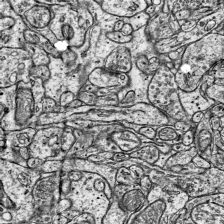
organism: Mouse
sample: Visual Cortex